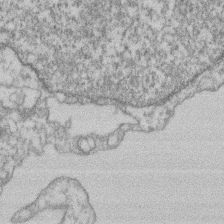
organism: Mouse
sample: T cell stromal cell synapse